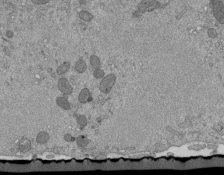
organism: Mouse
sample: ED-1 cell nuclei; centrioles